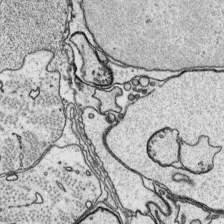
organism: Platynereis dumerilii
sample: Parapodia